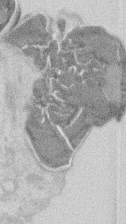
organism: Mouse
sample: T cell stromal cell synapse